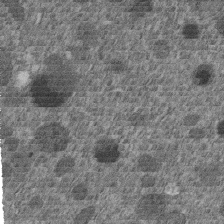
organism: C. elegans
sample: C. elegans embryo early stage